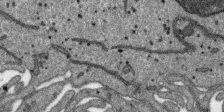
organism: Human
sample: Lung epithelial cells, uninfected (mock) control